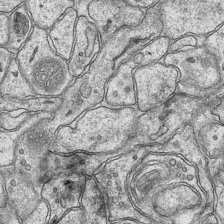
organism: Mouse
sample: CA1 Hippocampus